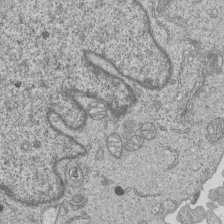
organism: Human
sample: MDA-MB-231 cells